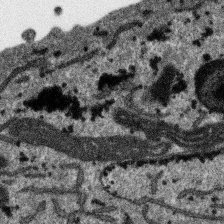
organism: Human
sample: Lung epithelial cells infected with SARS-CoV-2